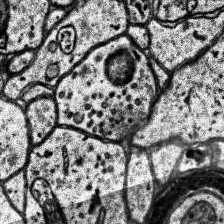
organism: Human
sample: Temporal Lobe